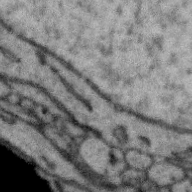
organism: Zebra finch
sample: Brain